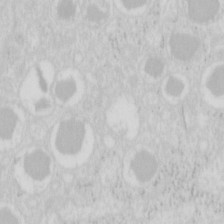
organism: Mouse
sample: Pancreas